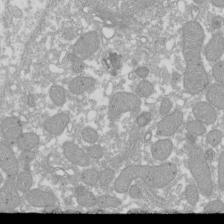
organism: Xenopus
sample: Cilia; centrioles in frog embryo cells